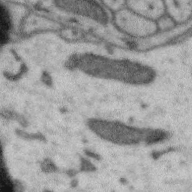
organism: Zebra finch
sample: Brain